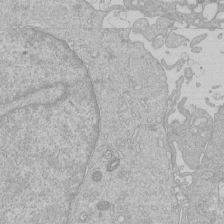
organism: Human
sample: Macrophage cells